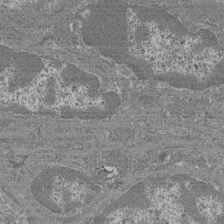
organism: Mouse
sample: Glomerulus